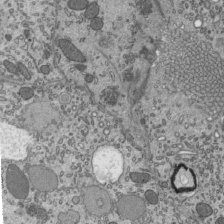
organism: Mouse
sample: Mouse epididymis efferent ductule cilia